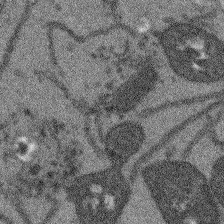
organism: Arabidopsis thaliana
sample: Root tip